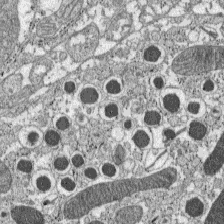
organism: C57BL Mouse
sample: Pancreatic islet